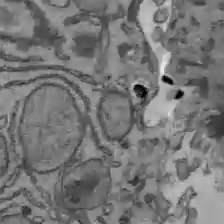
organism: C57BL Mouse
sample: Liver